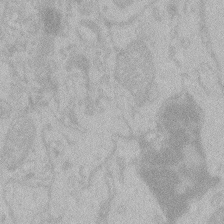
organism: Zebrafish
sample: Macrophage infected with Toxoplasma gondii